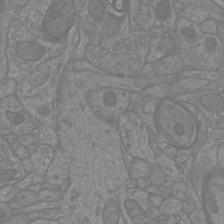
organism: Mouse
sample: Cortical neurons